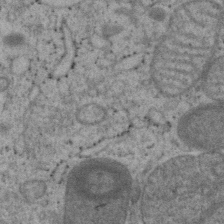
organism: Human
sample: HeLa cells